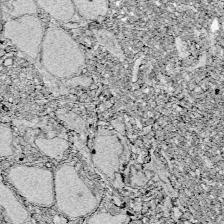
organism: Zebrafish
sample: Whole-Brain